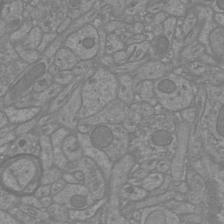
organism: Mouse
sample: Cortical neurons